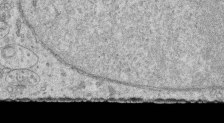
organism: Human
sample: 1205lu cells